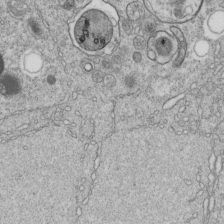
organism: C. elegans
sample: C. elegans embryo early stage